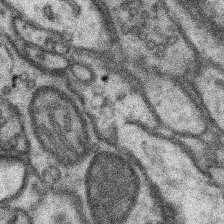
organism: Mouse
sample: Somatosensory cortex neuropil